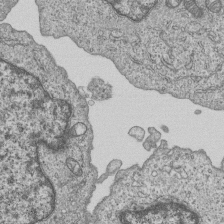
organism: Human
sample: MDA-MB-231 cells